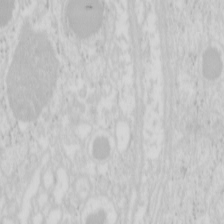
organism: Mouse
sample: Pancreas